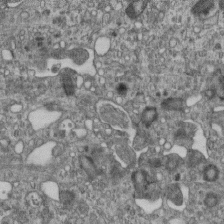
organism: Mouse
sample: Centriole in ependymal cells